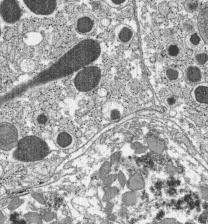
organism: C57BL Mouse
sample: Pancreatic islet